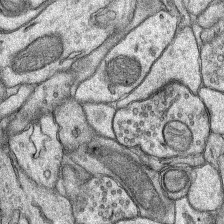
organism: Rat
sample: Hippocampus